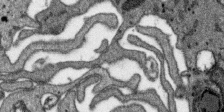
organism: Human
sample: Lung epithelial cells, uninfected (mock) control